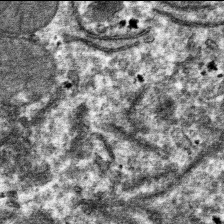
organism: Mouse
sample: Mouse hepatocytes